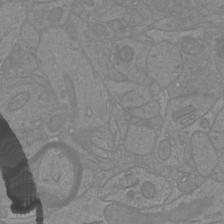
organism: Mouse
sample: Cortical neurons